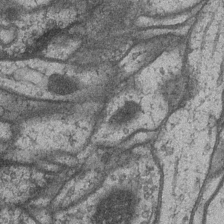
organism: Drosophila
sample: Optic medulla